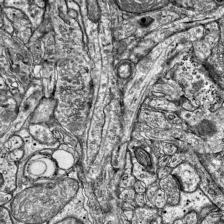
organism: Mouse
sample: Visual Cortex